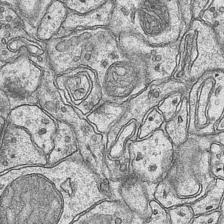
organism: Mouse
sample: CA1 Hippocampus